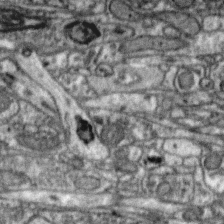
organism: Zebra finch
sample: Brain